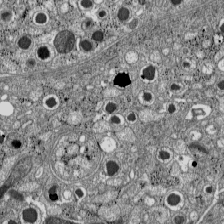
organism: C57BL Mouse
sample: Pancreatic islet